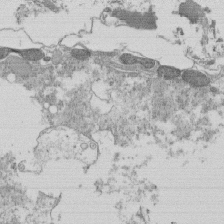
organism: Tetrahymena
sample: Cilia in tetrahymena